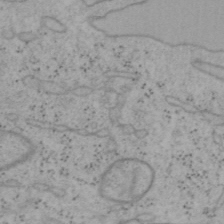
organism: Human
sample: HeLa cells